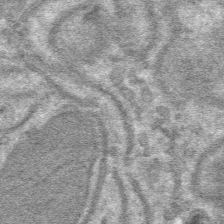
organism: Mouse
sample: Mouse hepatocytes